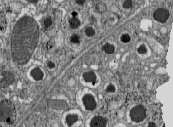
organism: C57BL Mouse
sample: Pancreatic islet